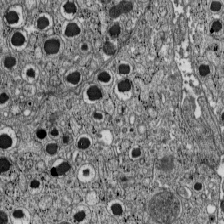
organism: C57BL Mouse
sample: Pancreatic islet